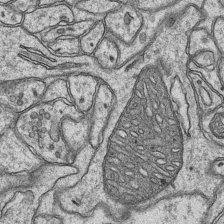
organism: Mouse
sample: CA1 Hippocampus